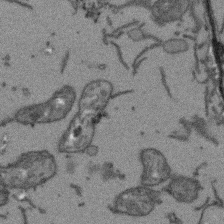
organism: Arabidopsis thaliana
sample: Root tip